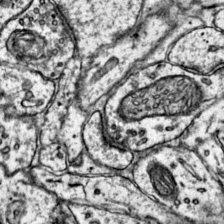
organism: Mouse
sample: Primary visual cortex